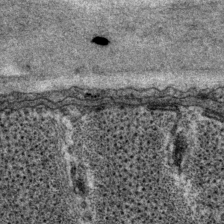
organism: P. pacificus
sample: Pharynx